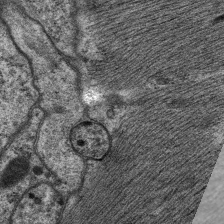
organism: C. elegans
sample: Pharynx